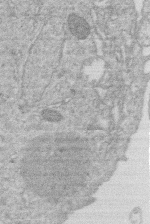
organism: Human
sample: Macrophage cells